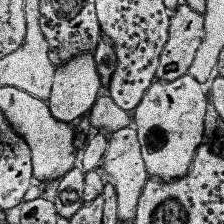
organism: Human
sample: Temporal Lobe